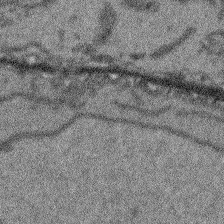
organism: Arabidopsis thaliana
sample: Root tip